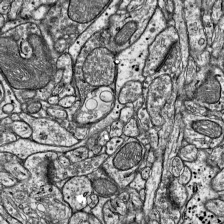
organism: Mouse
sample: Visual Cortex